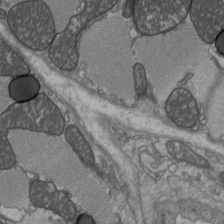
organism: C57BL Mouse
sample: Heart